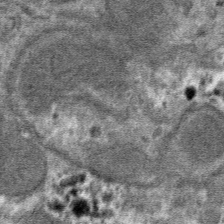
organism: Mouse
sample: Mouse hepatocytes